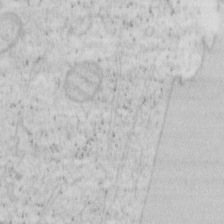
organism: Human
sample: HeLa cells